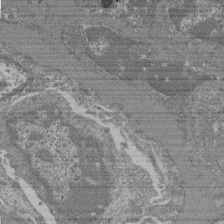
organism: Mouse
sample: Glomerulus